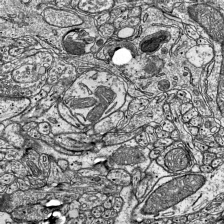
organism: Mouse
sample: Visual Cortex